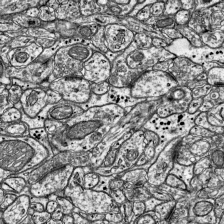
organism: Mouse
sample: Visual Cortex